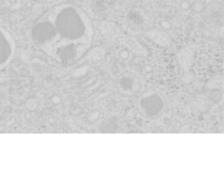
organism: Mouse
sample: Pancreas